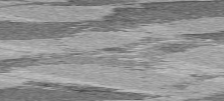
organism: C57BL Mouse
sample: Heart